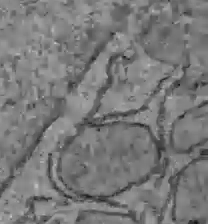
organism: C57BL Mouse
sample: Liver